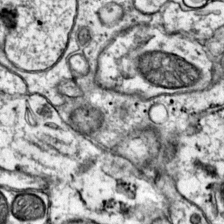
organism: Mouse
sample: Primary visual cortex